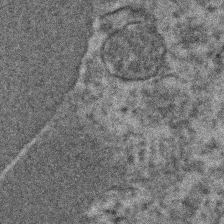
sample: Kidney